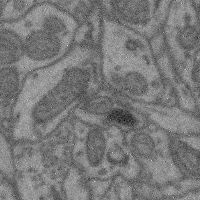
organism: Mouse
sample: Cerebral cortex